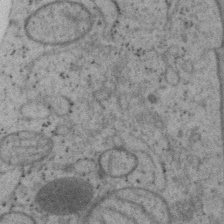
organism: Human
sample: HeLa cells